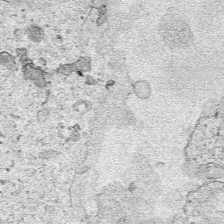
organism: Human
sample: Mitochondria in HCT116 cells